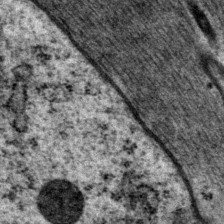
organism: P. pacificus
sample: Pharynx